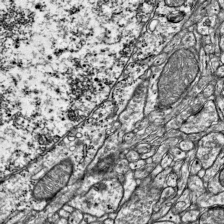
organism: Mouse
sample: Visual Cortex